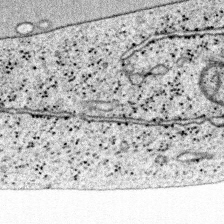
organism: Human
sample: HeLa cells